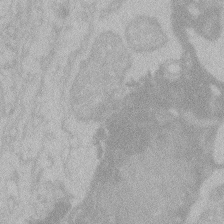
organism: Zebrafish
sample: Macrophage infected with Toxoplasma gondii